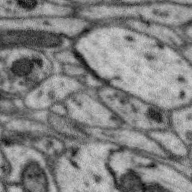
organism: Zebra finch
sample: Brain